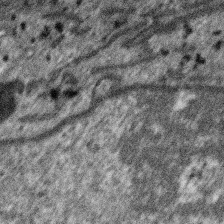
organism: Human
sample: Lung epithelial cells infected with SARS-CoV-2